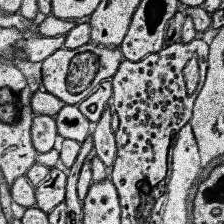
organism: Human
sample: Temporal Lobe